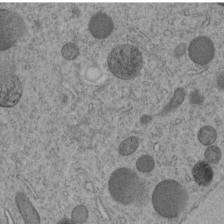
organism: C. elegans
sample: C. elegans embryo early stage